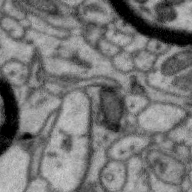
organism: Zebra finch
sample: Brain